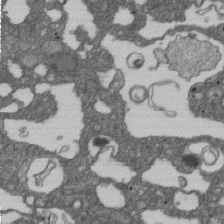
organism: Drosophila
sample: Nephrocyte